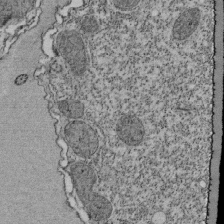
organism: Tetrahymena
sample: Cilia in tetrahymena